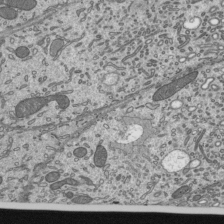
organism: Mouse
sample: Mouse epididymis efferent ductule cilia